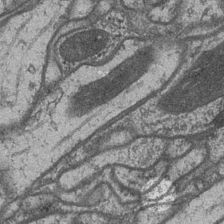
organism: Drosophila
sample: Optic medulla